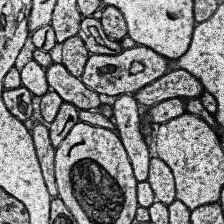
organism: Human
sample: Temporal Lobe